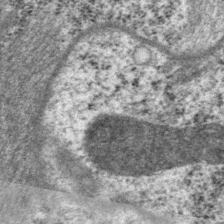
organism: P. pacificus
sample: Pharynx